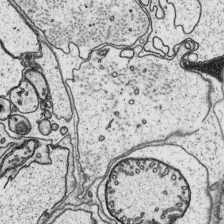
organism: Platynereis dumerilii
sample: Parapodia